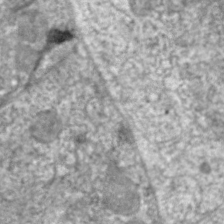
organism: C. elegans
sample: Pharynx